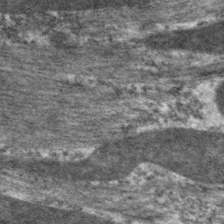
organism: C. elegans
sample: Pharynx